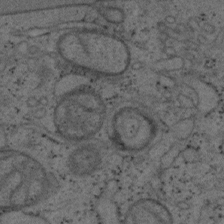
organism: Human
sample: HeLa cells